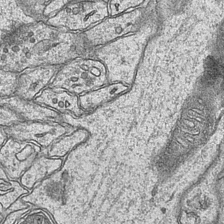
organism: Mouse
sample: CA1 Hippocampus